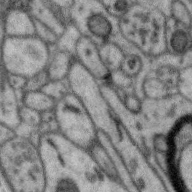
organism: Zebra finch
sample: Brain